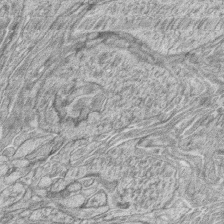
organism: Zebrafish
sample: synaptic ribbons in rod cells and cone cells